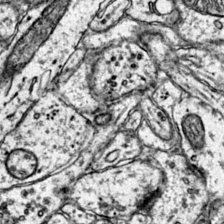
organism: Mouse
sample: Primary visual cortex